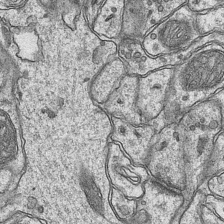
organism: Mouse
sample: CA1 Hippocampus